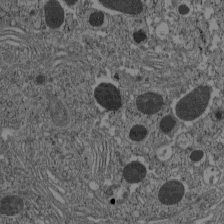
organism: C57BL Mouse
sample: Pancreatic islet